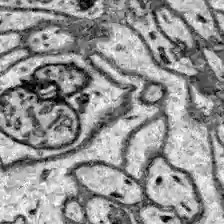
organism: Zebrafish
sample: Brain